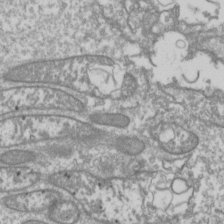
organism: Drosophila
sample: Cell division; meiosis; drosophila spermatocytes